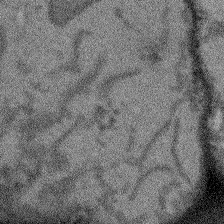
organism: Arabidopsis thaliana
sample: Root tip